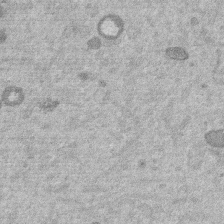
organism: Mouse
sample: Dividing mouse embryo 1 cell stage